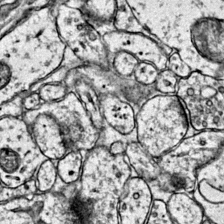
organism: Mouse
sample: Primary visual cortex